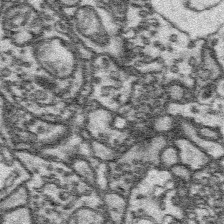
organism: Platynereis dumerilii